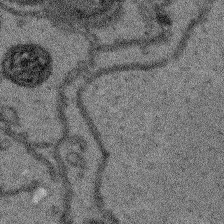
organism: Arabidopsis thaliana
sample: Root tip